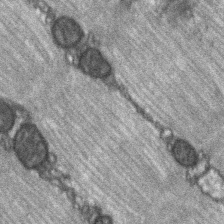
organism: C57BL Mouse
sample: Soleus